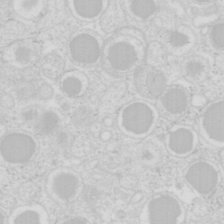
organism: Mouse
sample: Pancreas